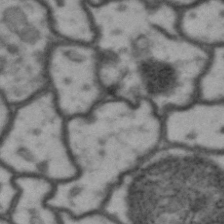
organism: Drosophila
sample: Brain